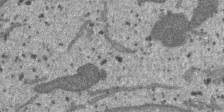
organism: Human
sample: Lung epithelial cells infected with SARS-CoV-2